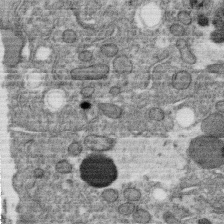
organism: C. elegans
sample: C. elegans oocyte; sperm cells